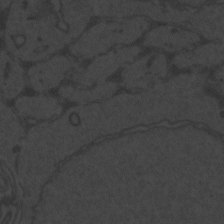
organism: Zebrafish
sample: Macrophage infected with Toxoplasma gondii